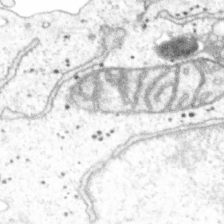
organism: Human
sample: HeLa cells